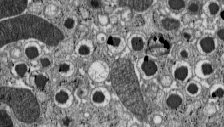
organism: C57BL Mouse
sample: Pancreatic islet